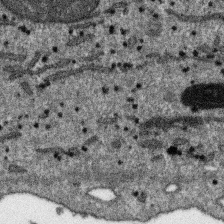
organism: Human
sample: Lung epithelial cells infected with SARS-CoV-2